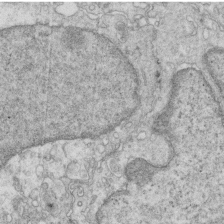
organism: Mouse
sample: Multiciliated cells